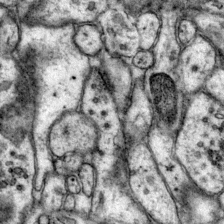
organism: Mouse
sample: Primary visual cortex